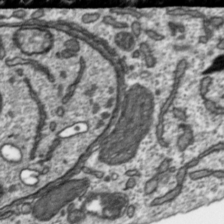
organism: Toxoplasma gondii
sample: Parasites in a vacuole inside a host cell